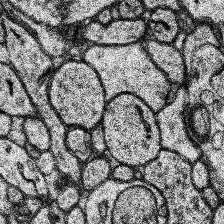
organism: Human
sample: Temporal Lobe